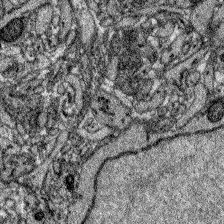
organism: Zebrafish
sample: Larval olfactory bulb